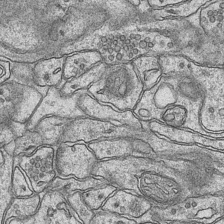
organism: Mouse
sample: CA1 Hippocampus